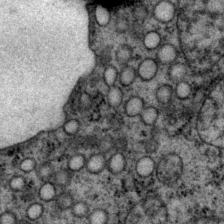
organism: P. pacificus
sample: Pharynx